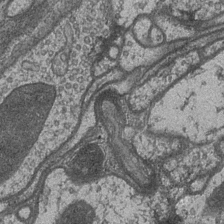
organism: Drosophila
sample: Optic medulla